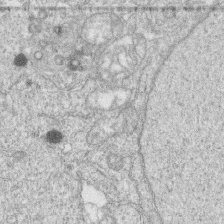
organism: Human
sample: HeLa cell HIV synapse